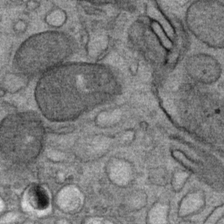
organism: Mouse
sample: Mouse Salivary gland